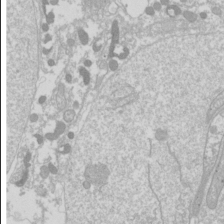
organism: Drosophila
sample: Cell division; meiosis; drosophila spermatocytes